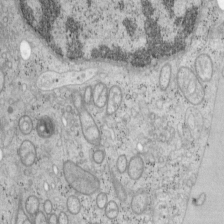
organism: Mouse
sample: OT-I killer T cells with ID8 ovarian cancer cells